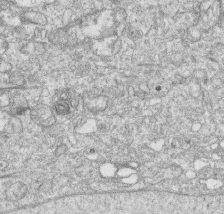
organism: Human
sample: HeLa cell HIV synapse